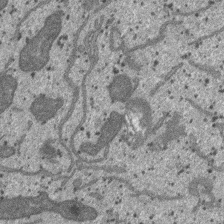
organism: Human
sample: Lung epithelial cells infected with SARS-CoV-2